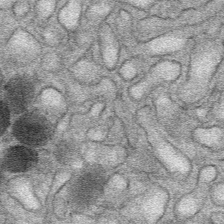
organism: Mouse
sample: Mouse Salivary gland